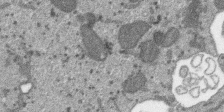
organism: Human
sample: Lung epithelial cells infected with SARS-CoV-2